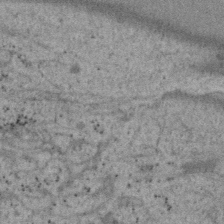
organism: Human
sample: HeLa cells